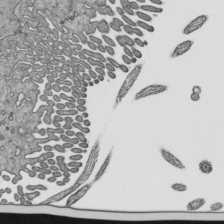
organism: Mouse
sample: Mouse epididymis efferent ductule cilia